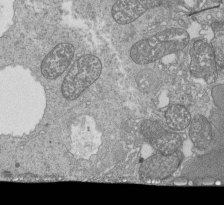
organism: Tetrahymena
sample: Cilia in tetrahymena